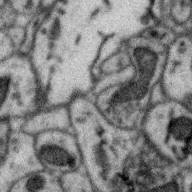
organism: Zebra finch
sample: Brain